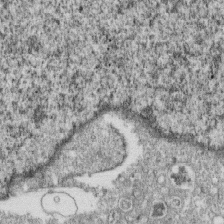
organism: African green monkey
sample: Vero E6 cells infected with SARS-CoV-2